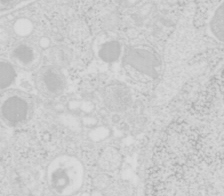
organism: Mouse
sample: Pancreas